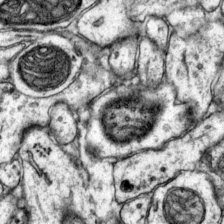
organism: Mouse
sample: Primary visual cortex